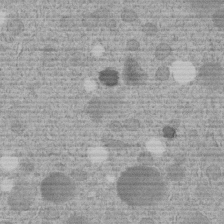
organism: C. elegans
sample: C. elegans embryo early stage